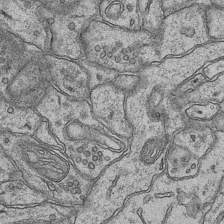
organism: Mouse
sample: CA1 Hippocampus